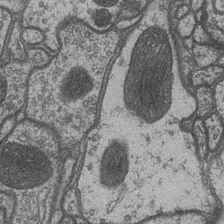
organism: Drosophila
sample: Optic medulla